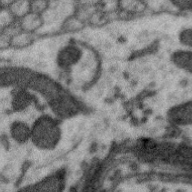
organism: Zebra finch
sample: Brain